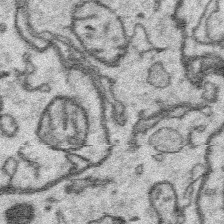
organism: Platynereis dumerilii